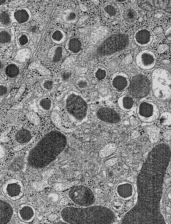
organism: C57BL Mouse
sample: Pancreatic islet